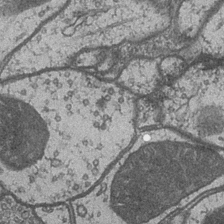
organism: Drosophila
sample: Optic medulla